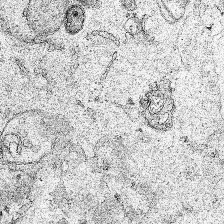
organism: Human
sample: Mitochondria in HCT116 cells